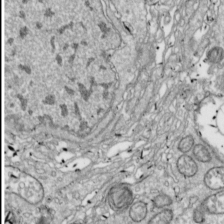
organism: Drosophila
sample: Cell division; meiosis; drosophila spermatocytes